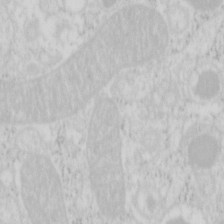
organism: Mouse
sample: Pancreas